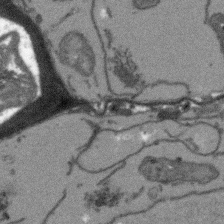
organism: Arabidopsis thaliana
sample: Root tip